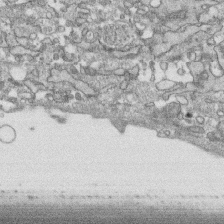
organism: Human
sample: CRL-1474